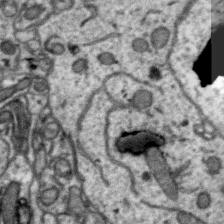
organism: Zebra finch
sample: Brain